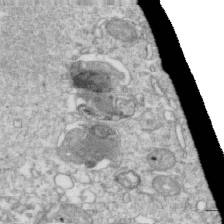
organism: Mouse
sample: Activated OT-1 CD8+ T cells